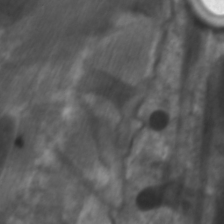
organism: C. elegans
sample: Pharynx